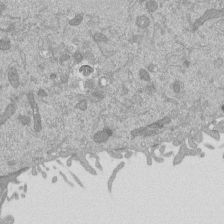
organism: Mouse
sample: ED-1 cell nuclei; centrioles